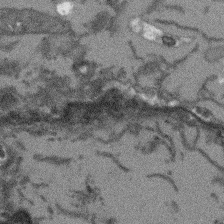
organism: Arabidopsis thaliana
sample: Root tip